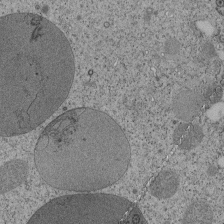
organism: Tetrahymena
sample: Cilia in tetrahymena